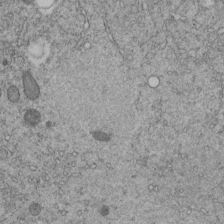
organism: C. elegans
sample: C. elegans embryo early stage